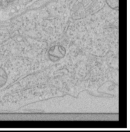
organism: Human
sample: Mitochondria in HCT116 cells